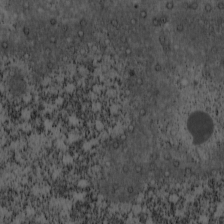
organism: African green monkey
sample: COS-7 cells